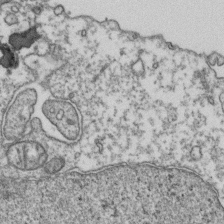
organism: Human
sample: Activated Jurkat CD4+ T cells